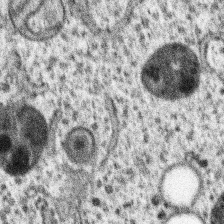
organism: Human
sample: HeLa cells